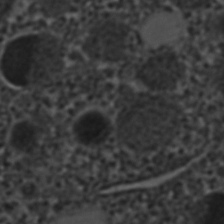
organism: C. elegans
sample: C. elegans embryo